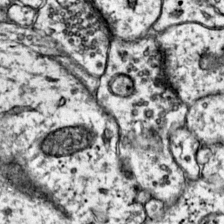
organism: Mouse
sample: Primary visual cortex